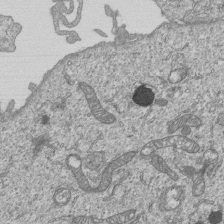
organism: Human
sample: MDA-MB-231 cells